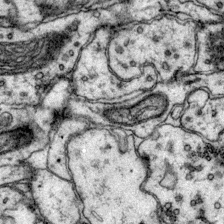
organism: Mouse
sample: Primary visual cortex